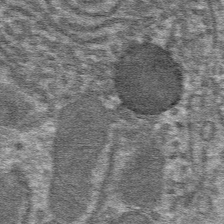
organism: Mouse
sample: Mouse hepatocytes